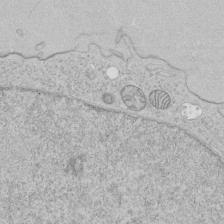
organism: Human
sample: Mitochondria in HCT116 cells